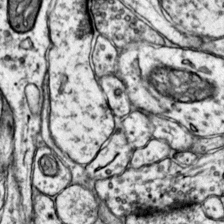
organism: Mouse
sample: Primary visual cortex